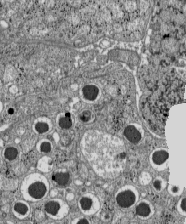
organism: C57BL Mouse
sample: Pancreatic islet